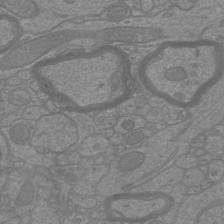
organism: Mouse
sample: Cortical neurons